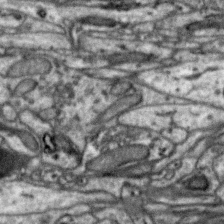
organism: Zebra finch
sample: Brain